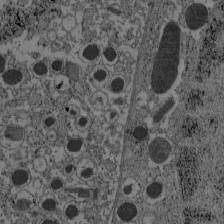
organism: C57BL Mouse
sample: Pancreatic islet